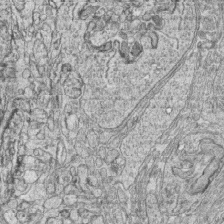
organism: Zebrafish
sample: synaptic ribbons in rod cells and cone cells